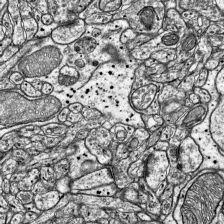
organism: Mouse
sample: Visual Cortex